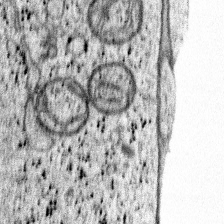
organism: Human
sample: HeLa cells